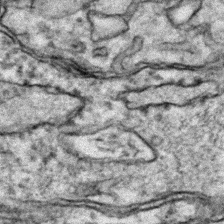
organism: Zebrafish